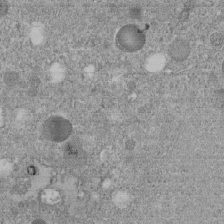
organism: C. elegans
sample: C. elegans embryo early stage